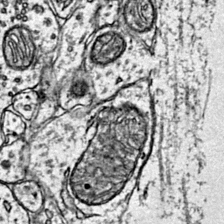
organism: Mouse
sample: Primary visual cortex